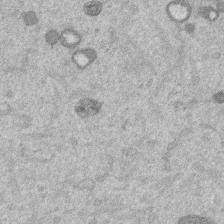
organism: Mouse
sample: Dividing mouse embryo 1 cell stage